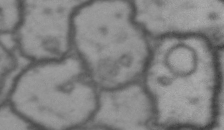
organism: Drosophila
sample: Brain